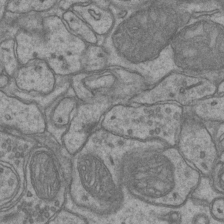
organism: Mouse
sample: CA1 Hippocampus